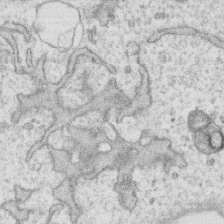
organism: Human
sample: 1205lu cells